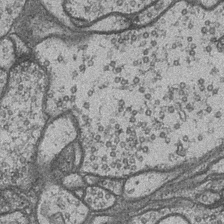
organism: Drosophila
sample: Optic medulla